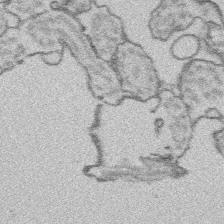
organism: Platynereis dumerilii